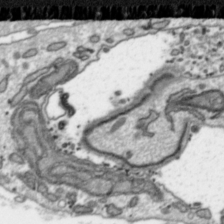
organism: Toxoplasma gondii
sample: Parasites in a vacuole inside a host cell